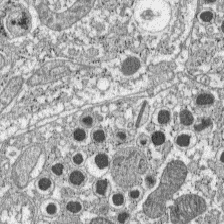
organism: C57BL Mouse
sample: Pancreatic islet